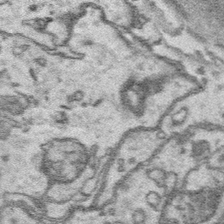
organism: Platynereis dumerilii